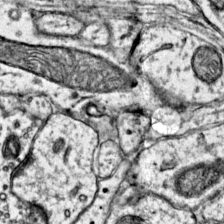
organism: Mouse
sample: Primary visual cortex